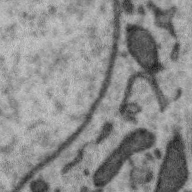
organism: Zebra finch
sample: Brain